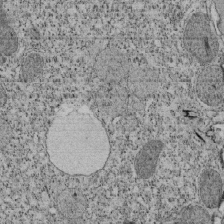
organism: Tetrahymena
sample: Cilia in tetrahymena